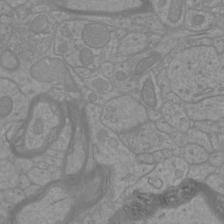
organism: Mouse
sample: Cortical neurons